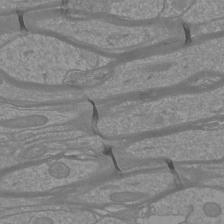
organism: Mouse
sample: Cortical neurons